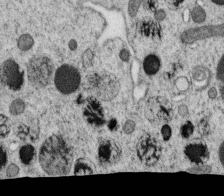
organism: C. elegans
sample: C. elegans oocyte; sperm cells